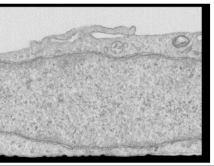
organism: Human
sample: Centriole in RPE cells